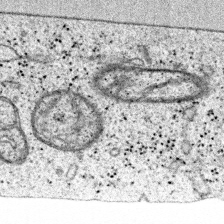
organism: Human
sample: HeLa cells